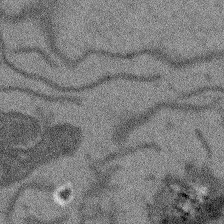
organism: Arabidopsis thaliana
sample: Root tip